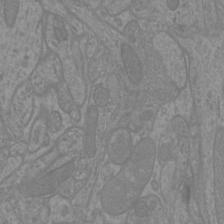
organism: Mouse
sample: Cortical neurons